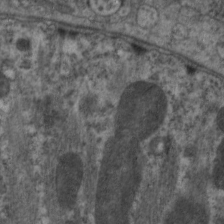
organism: C. elegans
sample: Pharynx